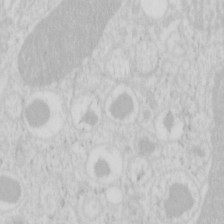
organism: Mouse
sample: Pancreas